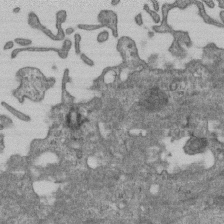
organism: Mouse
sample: Centriole in ependymal cells